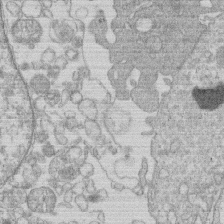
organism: Human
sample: Macrophage cells